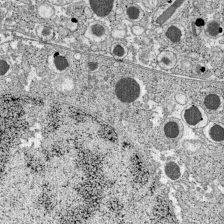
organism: C57BL Mouse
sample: Pancreatic islet